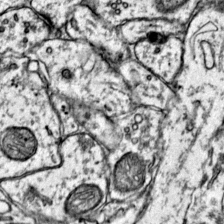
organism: Mouse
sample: Primary visual cortex